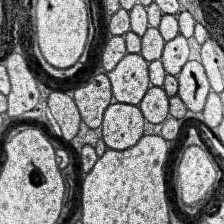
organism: Human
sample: Temporal Lobe